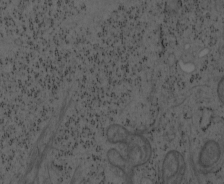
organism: Mouse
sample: OT-I killer T cells with ID8 ovarian cancer cells